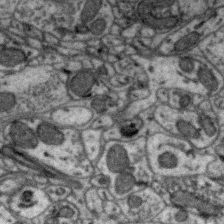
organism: Zebra finch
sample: Brain